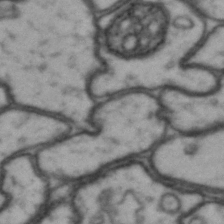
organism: Drosophila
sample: Brain